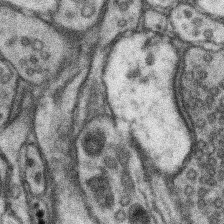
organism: Mouse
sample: Somatosensory cortex neuropil